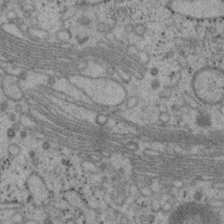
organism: Human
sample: HeLa cells